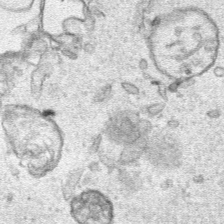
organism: Human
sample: Mitochondria in HCT116 cells